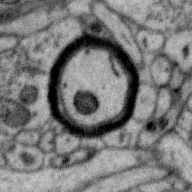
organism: Zebra finch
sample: Brain